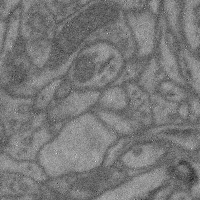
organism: Mouse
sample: Cerebral cortex